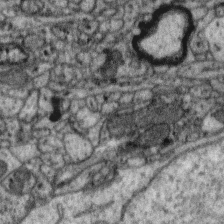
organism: Zebra finch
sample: Brain